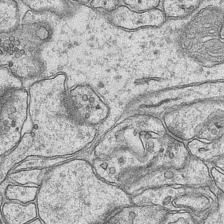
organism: Mouse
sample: CA1 Hippocampus